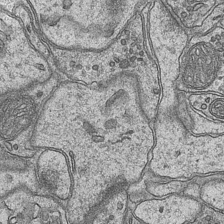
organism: Mouse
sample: CA1 Hippocampus